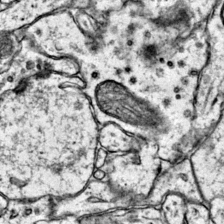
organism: Mouse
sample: Primary visual cortex